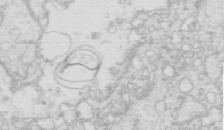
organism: Mouse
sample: Multiciliated cells